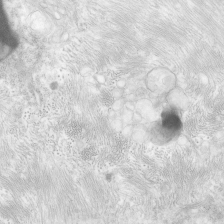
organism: Human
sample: Neocortex